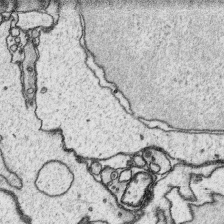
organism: Platynereis dumerilii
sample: Parapodia